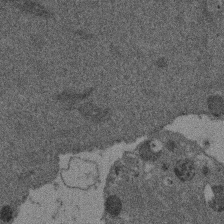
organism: Mouse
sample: Dividing mouse embryo 1 cell stage